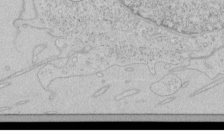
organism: Human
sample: Mitochondria in HCT116 cells